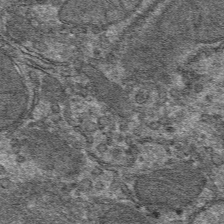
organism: Mouse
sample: Mouse hepatocytes